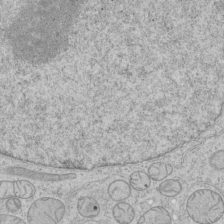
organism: Human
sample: Mitochondria in HCT116 cells